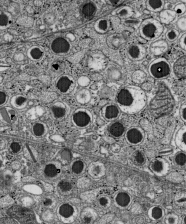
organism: C57BL Mouse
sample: Pancreatic islet